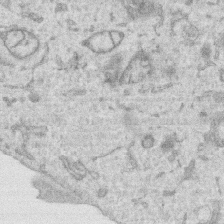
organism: Human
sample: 1205lu cells